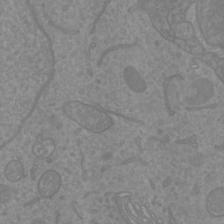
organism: Mouse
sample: Cortical neurons